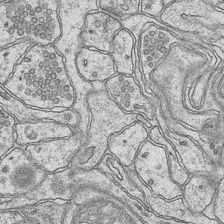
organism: Mouse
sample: CA1 Hippocampus